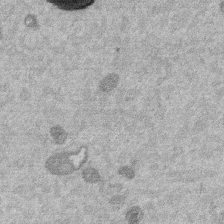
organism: Mouse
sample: Dividing mouse embryo 1 cell stage